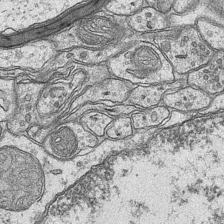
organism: Mouse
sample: CA1 Hippocampus